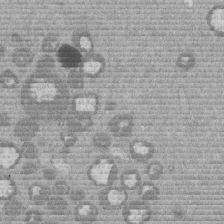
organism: Mouse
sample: Dividing mouse embryo 1 cell stage